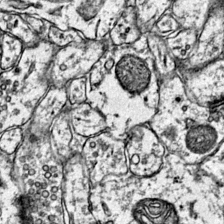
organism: Mouse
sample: Primary visual cortex